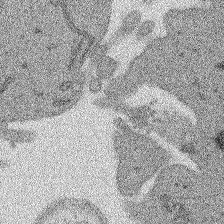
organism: Human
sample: HeLa cells